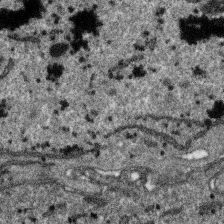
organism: Human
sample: Lung epithelial cells infected with SARS-CoV-2